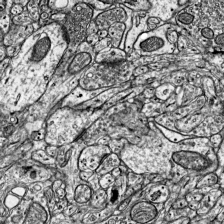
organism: Mouse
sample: Visual Cortex